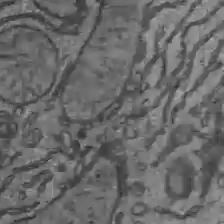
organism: C57BL Mouse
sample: Liver